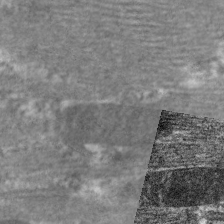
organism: C. elegans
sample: Pharynx